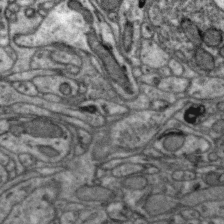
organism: Zebra finch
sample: Brain